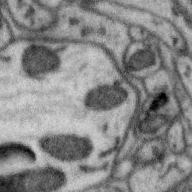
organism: Zebra finch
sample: Brain